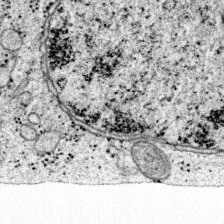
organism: Human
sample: HeLa cells